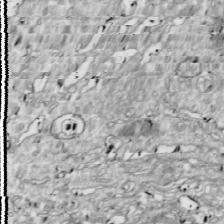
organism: Drosophila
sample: Cell division; meiosis; drosophila spermatocytes